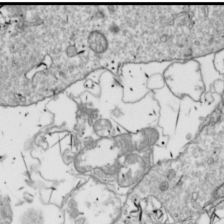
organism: Drosophila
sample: Cell division; meiosis; drosophila spermatocytes